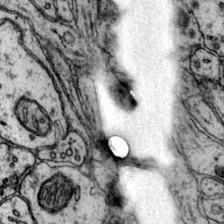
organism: Mouse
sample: Primary visual cortex